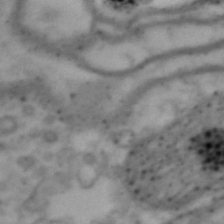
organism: Drosophila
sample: Brain